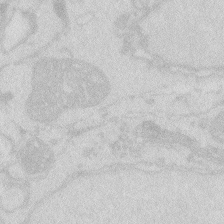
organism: Zebrafish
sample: Macrophage